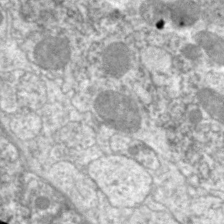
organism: C. elegans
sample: Pharynx